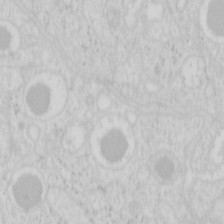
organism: Mouse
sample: Pancreas